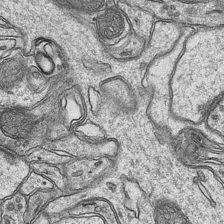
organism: Mouse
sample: CA1 Hippocampus